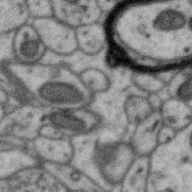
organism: Zebra finch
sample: Brain